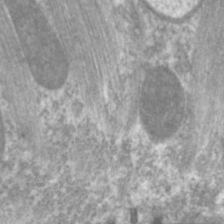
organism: C. elegans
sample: Pharynx